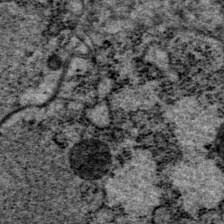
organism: P. pacificus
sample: Pharynx